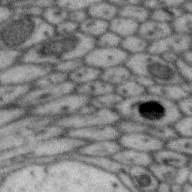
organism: Zebra finch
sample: Brain